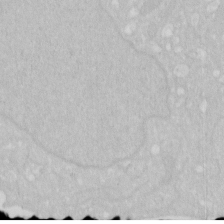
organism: Human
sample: HIV infected U937 cells